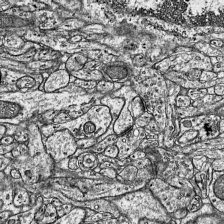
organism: Mouse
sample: Visual Cortex